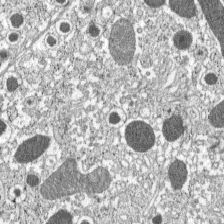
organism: C57BL Mouse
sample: Pancreatic islet